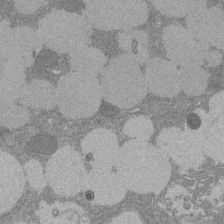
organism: Rat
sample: Salivary granule